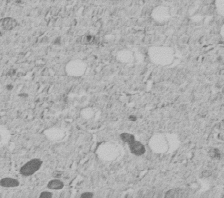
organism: C. elegans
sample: C. elegans embryo early stage